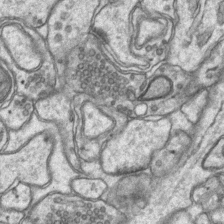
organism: Mouse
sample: CA1 Hippocampus